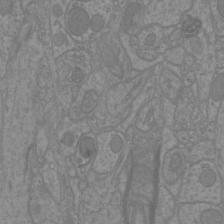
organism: Mouse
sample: Cortical neurons